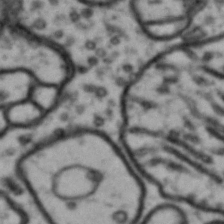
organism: Drosophila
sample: Brain